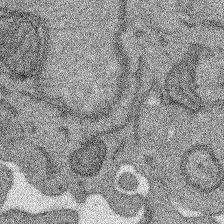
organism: Human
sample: HeLa cells